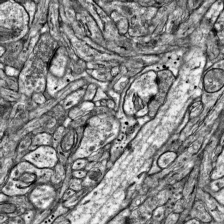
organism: Mouse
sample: Visual Cortex